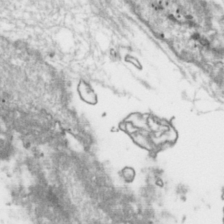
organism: Toxoplasma gondii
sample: Parasites in a vacuole inside a host cell